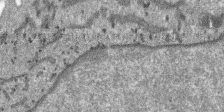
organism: Human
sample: Lung epithelial cells infected with SARS-CoV-2